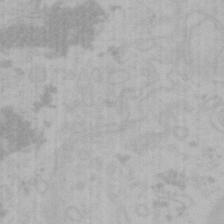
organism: Mouse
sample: Choroid plexus